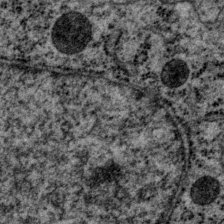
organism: P. pacificus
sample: Pharynx